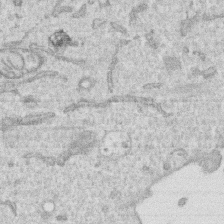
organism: Human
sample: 1205lu cells